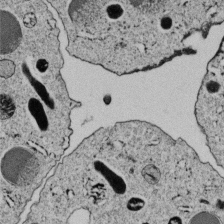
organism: C. elegans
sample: C. elegans embryo early stage